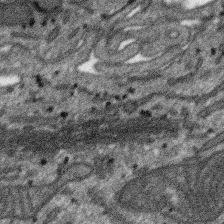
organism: Human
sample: Lung epithelial cells infected with SARS-CoV-2